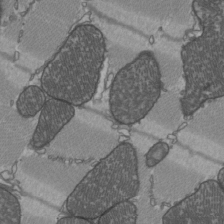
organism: C57BL Mouse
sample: Heart